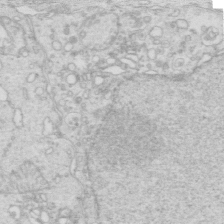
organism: Mouse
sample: Multiciliated cells